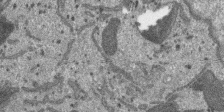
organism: Human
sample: Lung epithelial cells infected with SARS-CoV-2